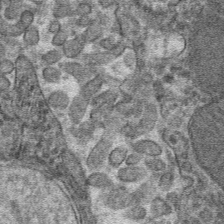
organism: Mouse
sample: Mouse hepatocytes